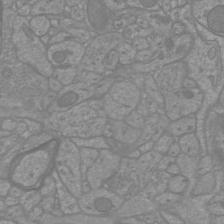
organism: Mouse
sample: Cortical neurons